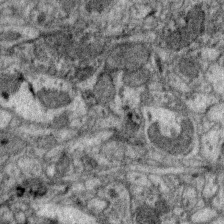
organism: Zebra finch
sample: Brain